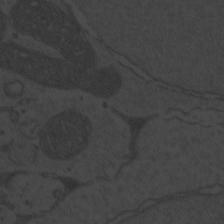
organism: Zebrafish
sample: Macrophage infected with Toxoplasma gondii